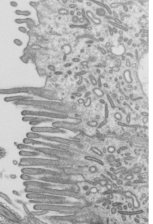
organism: Mouse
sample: Mouse epididymis efferent ductule cilia